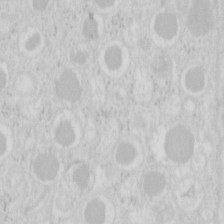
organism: Mouse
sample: Pancreas